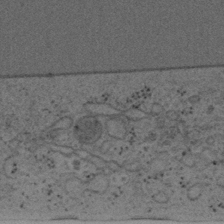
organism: Human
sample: HeLa cells